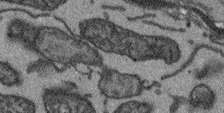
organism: Arabidopsis thaliana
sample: Root tip